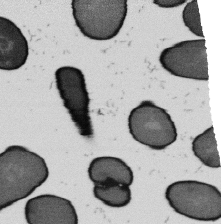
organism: B. subtilis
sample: Bacterial spore